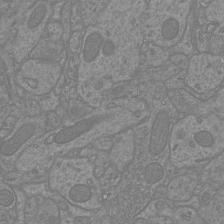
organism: Mouse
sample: Cortical neurons